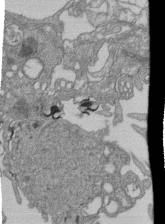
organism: Human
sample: Retinal organoid Rod and Cone cells